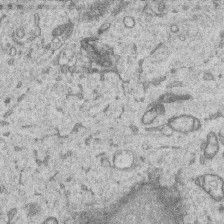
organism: Human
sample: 1205lu cells